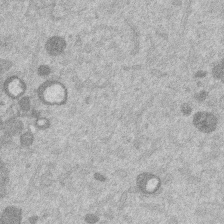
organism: Mouse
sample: Dividing mouse embryo 1 cell stage